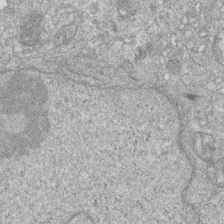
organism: Human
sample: HeLa cell HIV synapse